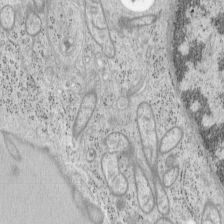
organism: Mouse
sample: OT-I killer T cells with ID8 ovarian cancer cells